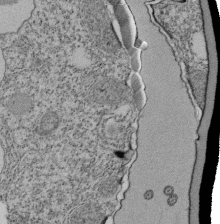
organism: Tetrahymena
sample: Cilia in tetrahymena